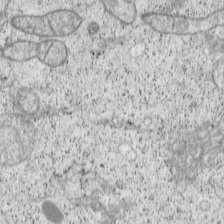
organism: African green monkey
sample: COS-7 cells